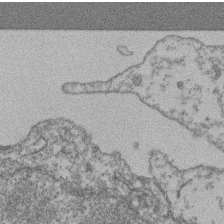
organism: Mouse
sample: T cell stromal cell synapse